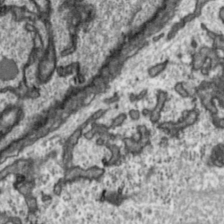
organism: Toxoplasma gondii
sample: Parasites in a vacuole inside a host cell